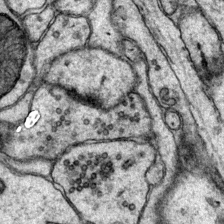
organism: Mouse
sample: Primary visual cortex